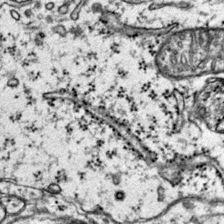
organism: Mouse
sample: Primary visual cortex